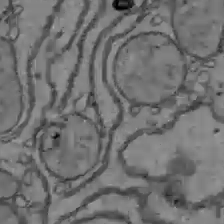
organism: C57BL Mouse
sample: Liver